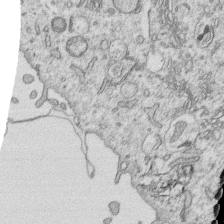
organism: Human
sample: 1205lu cells